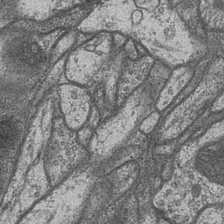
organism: Drosophila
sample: Optic medulla